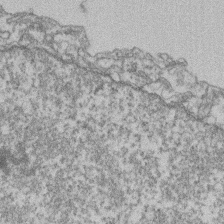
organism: Mouse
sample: T cell stromal cell synapse